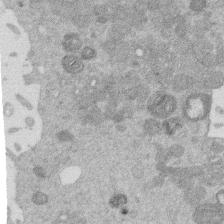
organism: Mouse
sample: Dividing mouse embryo 1 cell stage